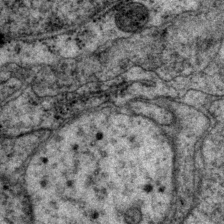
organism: P. pacificus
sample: Pharynx